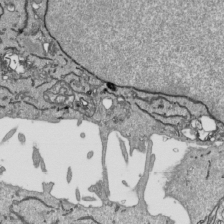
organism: Human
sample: Mitochondria in HCT116 cells